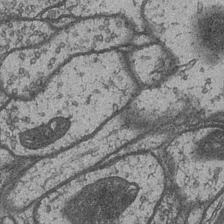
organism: Drosophila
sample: Optic medulla